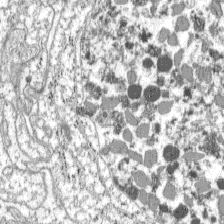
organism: C57BL Mouse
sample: Pancreatic islet